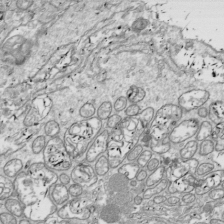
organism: Drosophila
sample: Cell division; meiosis; drosophila spermatocytes